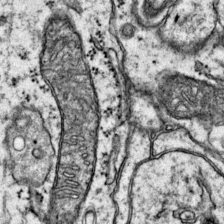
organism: Mouse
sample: Primary visual cortex